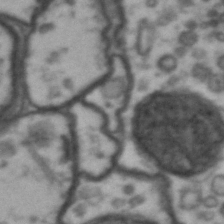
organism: Drosophila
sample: Brain